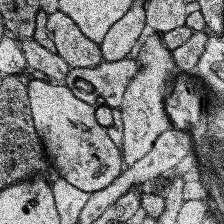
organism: Human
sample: Temporal Lobe